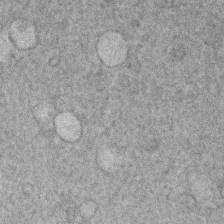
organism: Human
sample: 1205lu cells